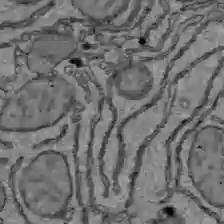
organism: C57BL Mouse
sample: Liver